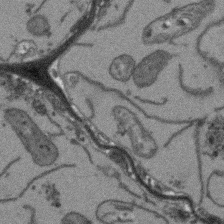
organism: Arabidopsis thaliana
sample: Root tip